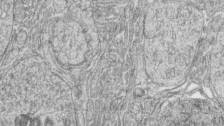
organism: Zebrafish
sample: synaptic ribbons in rod cells and cone cells